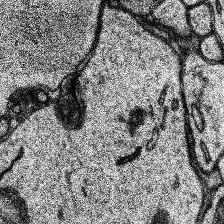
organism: Human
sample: Temporal Lobe